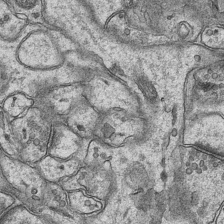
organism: Mouse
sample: CA1 Hippocampus